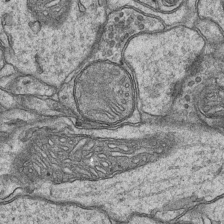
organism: Mouse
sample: CA1 Hippocampus